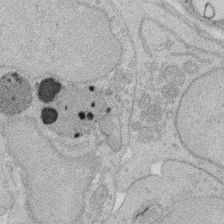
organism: Rat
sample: Salivary granule